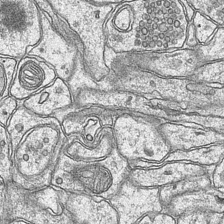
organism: Mouse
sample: CA1 Hippocampus